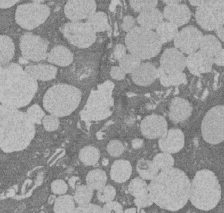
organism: Rat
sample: Salivary granule